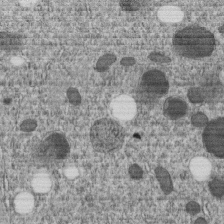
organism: C. elegans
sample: C. elegans embryo early stage